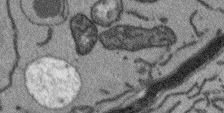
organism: Arabidopsis thaliana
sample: Root tip